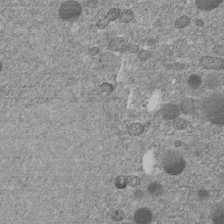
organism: C. elegans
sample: C. elegans embryo early stage